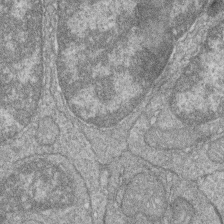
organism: Zebrafish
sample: Cilia; retinal pigment epithelium